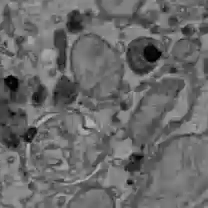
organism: C57BL Mouse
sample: Liver